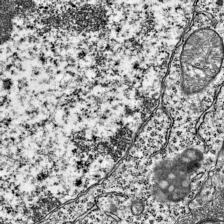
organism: Mouse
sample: Visual Cortex